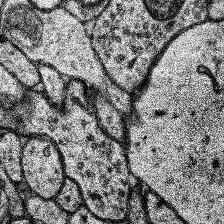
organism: Human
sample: Temporal Lobe